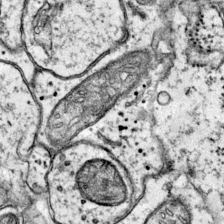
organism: Mouse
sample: Primary visual cortex